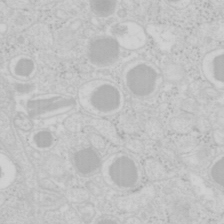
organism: Mouse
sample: Pancreas